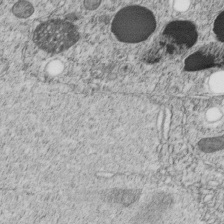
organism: C. elegans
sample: C. elegans embryo early stage